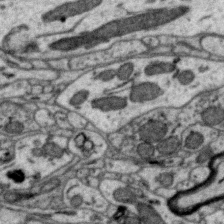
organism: Zebra finch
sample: Brain